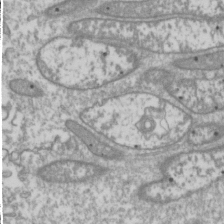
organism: Drosophila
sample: Cell division; meiosis; drosophila spermatocytes